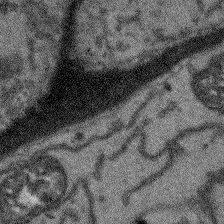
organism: Arabidopsis thaliana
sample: Root tip